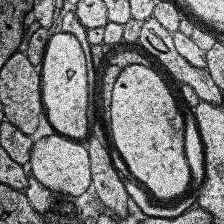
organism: Human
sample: Temporal Lobe